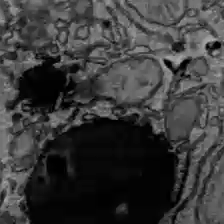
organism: C57BL Mouse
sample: Liver